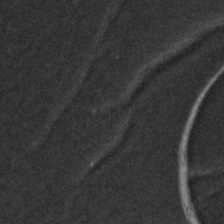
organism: Zebrafish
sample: Zebrafish embryo